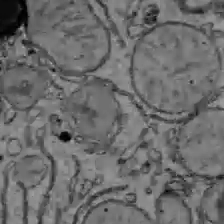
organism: C57BL Mouse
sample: Liver